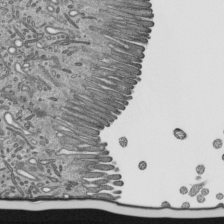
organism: Mouse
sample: Mouse epididymis efferent ductule cilia